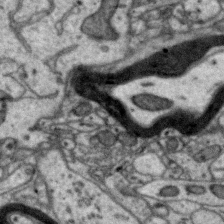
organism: Zebra finch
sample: Brain